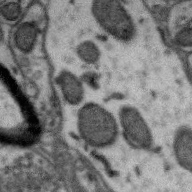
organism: Zebra finch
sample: Brain